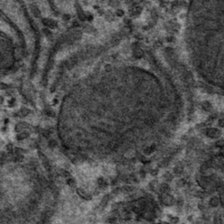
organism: Mouse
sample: Mouse hepatocytes